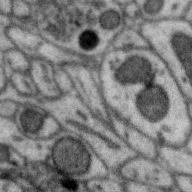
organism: Zebra finch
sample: Brain